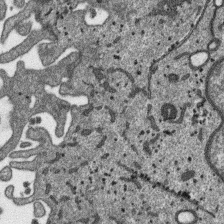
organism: Human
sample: Lung epithelial cells infected with SARS-CoV-2